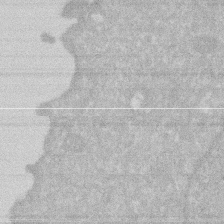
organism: Human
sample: HIV infected U937 cells